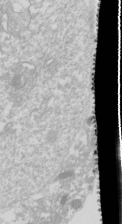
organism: Drosophila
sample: Cell division; meiosis; drosophila spermatocytes